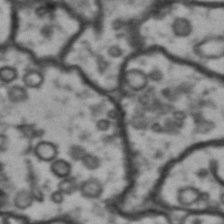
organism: Drosophila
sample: Brain